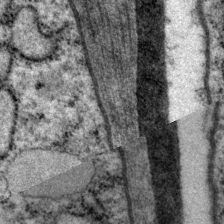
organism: P. pacificus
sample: Pharynx